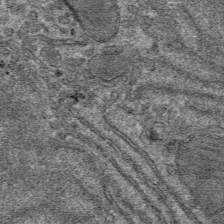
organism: Mouse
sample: Mouse hepatocytes